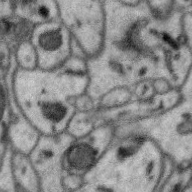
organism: Zebra finch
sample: Brain